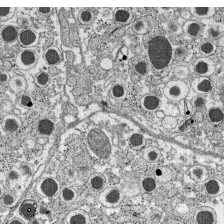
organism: C57BL Mouse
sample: Pancreatic islet